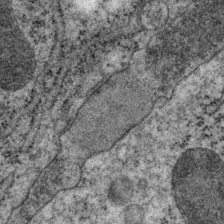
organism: P. pacificus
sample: Pharynx